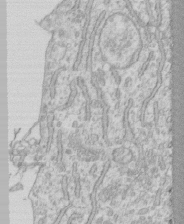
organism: Human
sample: CRL-1474